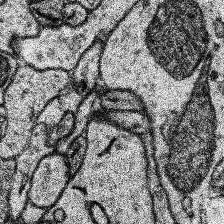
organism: Human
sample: Temporal Lobe